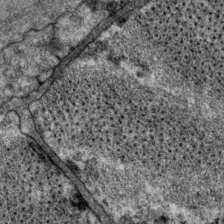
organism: P. pacificus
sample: Pharynx